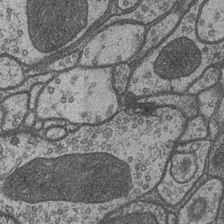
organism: Drosophila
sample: Optic medulla